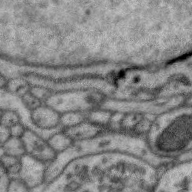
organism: Zebra finch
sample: Brain